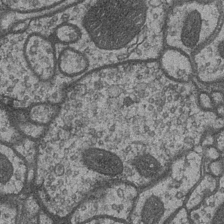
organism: Drosophila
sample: Optic medulla